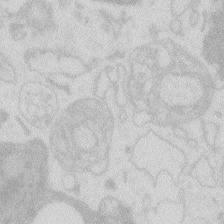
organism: Zebrafish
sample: Macrophage